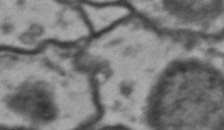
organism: Drosophila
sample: Brain